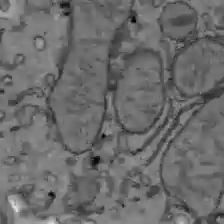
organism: C57BL Mouse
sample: Liver